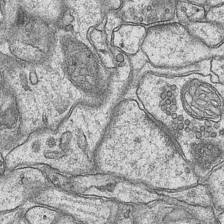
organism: Mouse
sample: CA1 Hippocampus